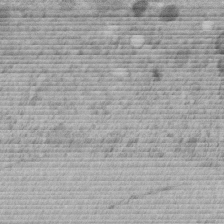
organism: C. elegans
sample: C. elegans embryo early stage